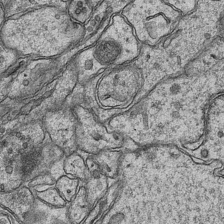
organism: Mouse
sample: CA1 Hippocampus